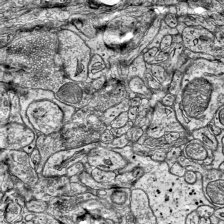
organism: Mouse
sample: Visual Cortex